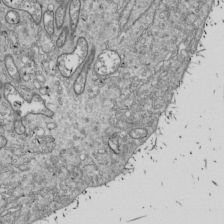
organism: Drosophila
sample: Cell division; meiosis; drosophila spermatocytes